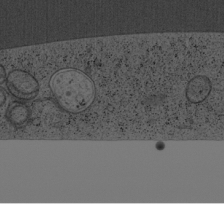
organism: African green monkey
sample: COS-7 cells